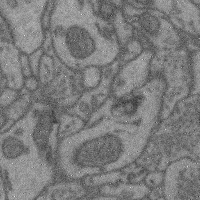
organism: Mouse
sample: Cerebral cortex